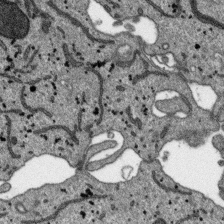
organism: Human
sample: Lung epithelial cells, uninfected (mock) control